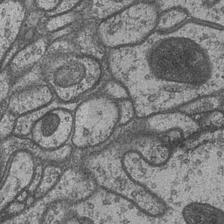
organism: Drosophila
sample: Optic medulla